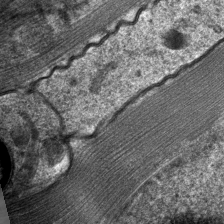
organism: C. elegans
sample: Pharynx